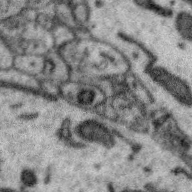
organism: Zebra finch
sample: Brain